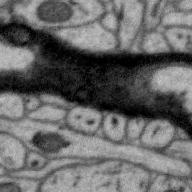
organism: Zebra finch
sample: Brain